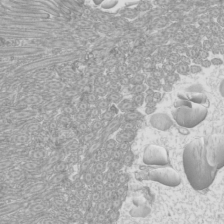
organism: Mouse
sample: Cilia; mouse epididymis